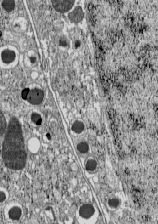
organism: C57BL Mouse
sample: Pancreatic islet